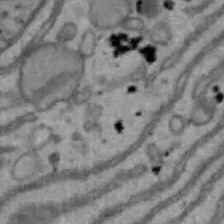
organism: Mouse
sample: Liver